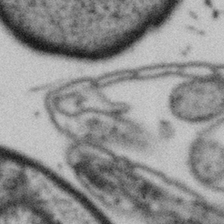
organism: Gemmata obscuriglobus